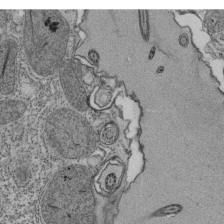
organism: Tetrahymena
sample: Cilia in tetrahymena